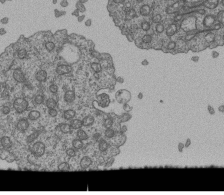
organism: Human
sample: Retinal organoid Rod and Cone cells